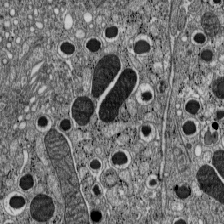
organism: C57BL Mouse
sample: Pancreatic islet